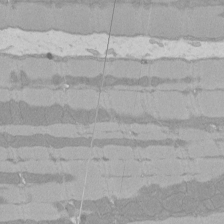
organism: Rat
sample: Left ventricle